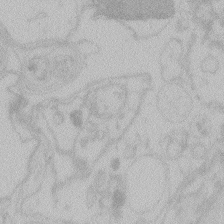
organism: Zebrafish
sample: Macrophage infected with Toxoplasma gondii